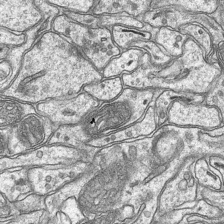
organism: Mouse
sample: CA1 Hippocampus